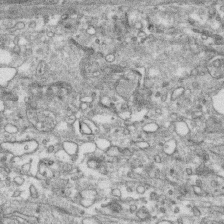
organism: Human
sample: CRL-1474